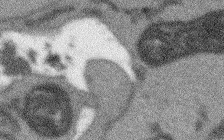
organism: Arabidopsis thaliana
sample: Root tip